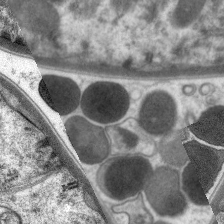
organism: C. elegans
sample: Pharynx